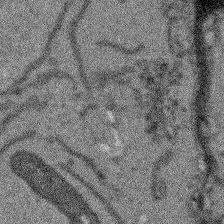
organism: Arabidopsis thaliana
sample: Root tip